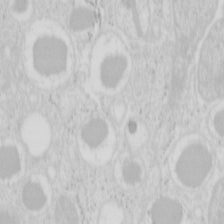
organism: Mouse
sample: Pancreas